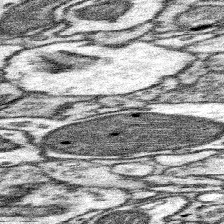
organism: Mouse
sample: Somatosensory cortex neuropil